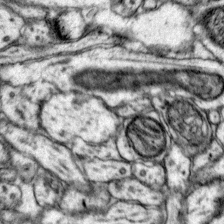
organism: Mouse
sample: Primary visual cortex